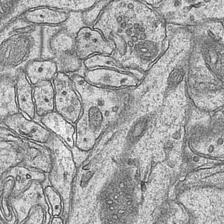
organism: Mouse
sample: CA1 Hippocampus